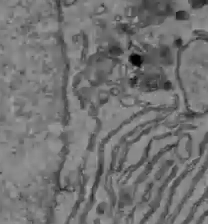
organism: C57BL Mouse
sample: Liver